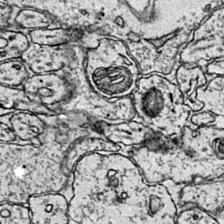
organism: Mouse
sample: Primary visual cortex